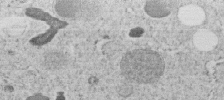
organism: C. elegans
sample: C. elegans embryo early stage